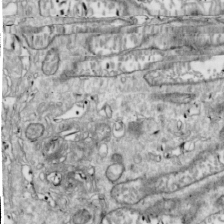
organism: Drosophila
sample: Cell division; meiosis; drosophila spermatocytes